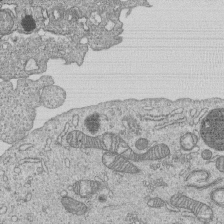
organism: Human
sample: MDA-MB-231 cells